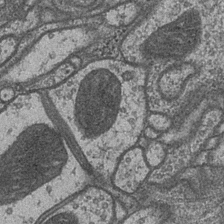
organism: Drosophila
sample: Optic medulla